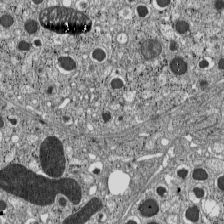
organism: C57BL Mouse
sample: Pancreatic islet